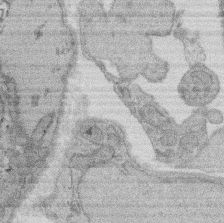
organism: Rat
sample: Salivary granule